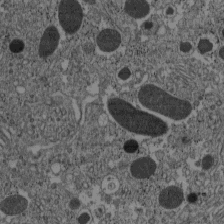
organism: C57BL Mouse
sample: Pancreatic islet